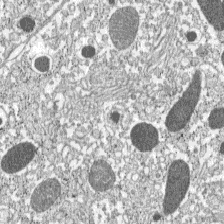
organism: C57BL Mouse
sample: Pancreatic islet